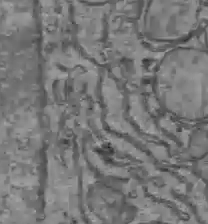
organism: C57BL Mouse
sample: Liver